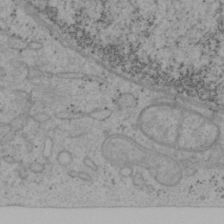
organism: Human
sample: HeLa cells